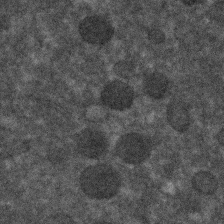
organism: C. elegans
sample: C. elegans embryo